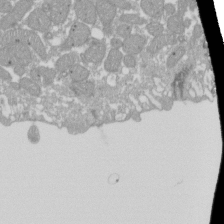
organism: Xenopus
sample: Cilia; centrioles in frog embryo cells